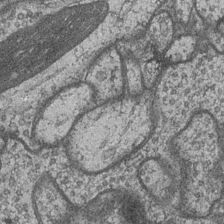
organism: Drosophila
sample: Optic medulla